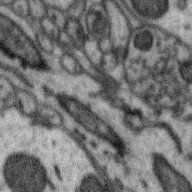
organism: Zebra finch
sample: Brain